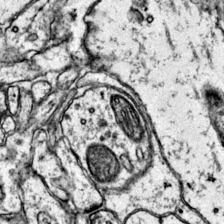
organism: Mouse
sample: Primary visual cortex